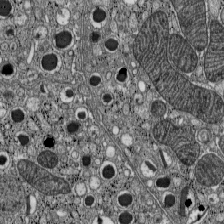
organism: C57BL Mouse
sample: Pancreatic islet